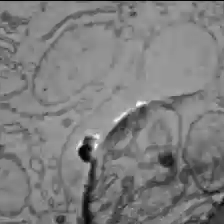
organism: C57BL Mouse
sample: Liver